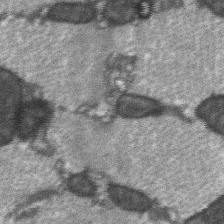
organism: C57BL Mouse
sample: Soleus